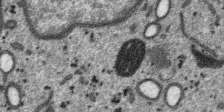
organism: Human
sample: Lung epithelial cells infected with SARS-CoV-2